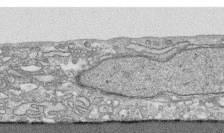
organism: Human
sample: CRL-1474